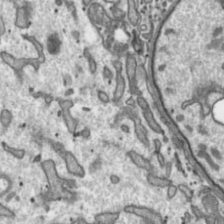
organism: Toxoplasma gondii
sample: Parasites in a vacuole inside a host cell